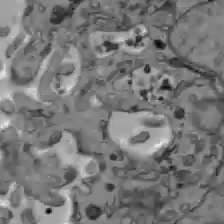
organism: C57BL Mouse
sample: Liver